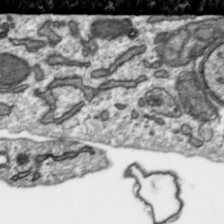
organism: Toxoplasma gondii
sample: Parasites in a vacuole inside a host cell